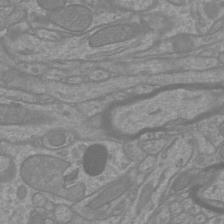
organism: Mouse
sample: Cortical neurons